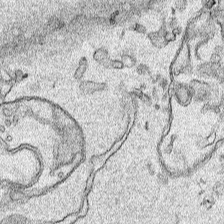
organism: Human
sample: Mitochondria in HCT116 cells